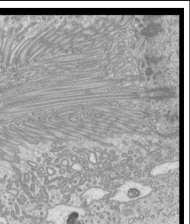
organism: Mouse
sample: Cilia; mouse epididymis